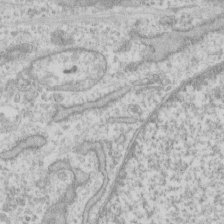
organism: Human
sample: Fibroblast cells